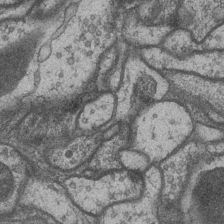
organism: Drosophila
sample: Optic medulla